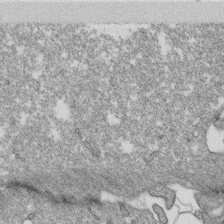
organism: African green monkey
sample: Vero E6 cells infected with SARS-CoV-2